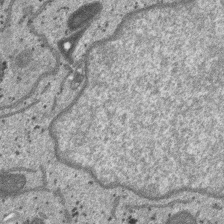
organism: Human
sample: Lung epithelial cells infected with SARS-CoV-2